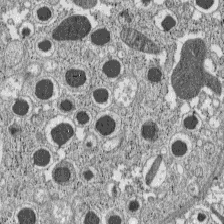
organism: C57BL Mouse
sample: Pancreatic islet